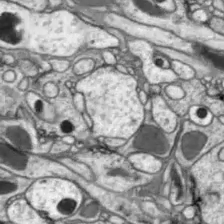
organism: Drosophila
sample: Optic lobe